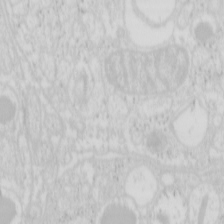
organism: Mouse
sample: Pancreas